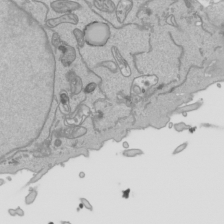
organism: Human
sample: Mitochondria in HCT116 cells